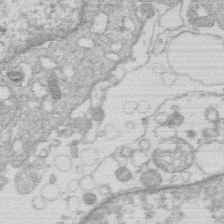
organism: Human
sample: Macrophage cells